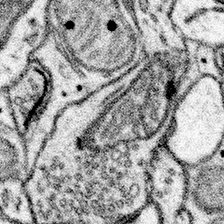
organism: Mouse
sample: Somatosensory cortex neuropil